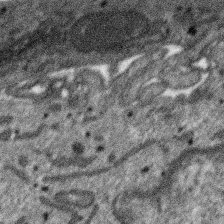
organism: Human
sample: Lung epithelial cells infected with SARS-CoV-2